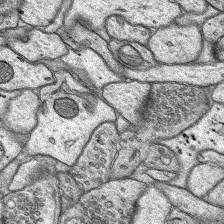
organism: Rat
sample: Hippocampus